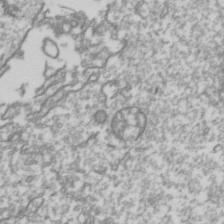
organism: Drosophila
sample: Cell division; meiosis; drosophila spermatocytes